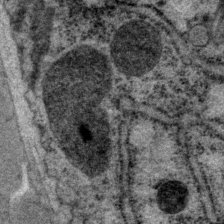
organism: P. pacificus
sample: Pharynx